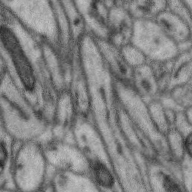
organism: Zebra finch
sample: Brain